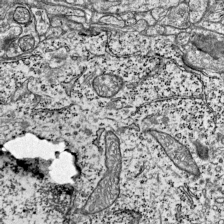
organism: Mouse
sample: Visual Cortex